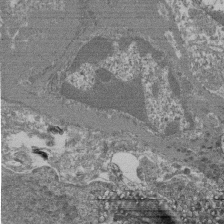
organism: Mouse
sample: Glomerulus